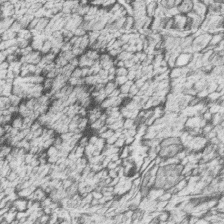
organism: Zebrafish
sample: synaptic ribbons in rod cells and cone cells